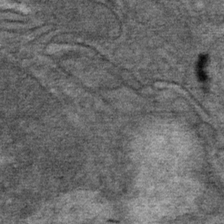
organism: Mouse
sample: Mouse Salivary gland